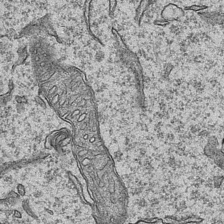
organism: Mouse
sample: CA1 Hippocampus